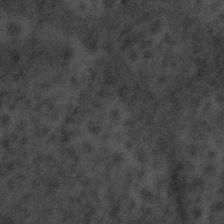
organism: Tuwongella immobilis